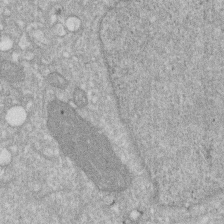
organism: Human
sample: HIV infected U937 cells